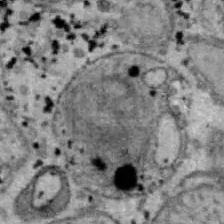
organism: Mouse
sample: Liver from an obese (ob/ob) mouse